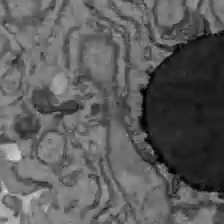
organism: C57BL Mouse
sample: Liver